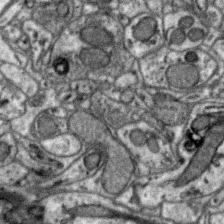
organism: Zebra finch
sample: Brain